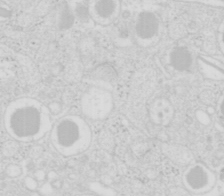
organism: Mouse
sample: Pancreas